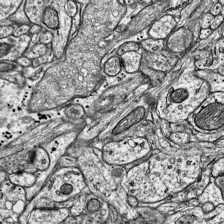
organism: Mouse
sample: Visual Cortex